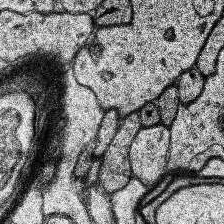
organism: Human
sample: Temporal Lobe